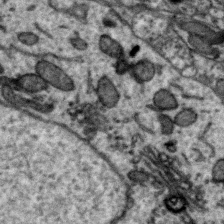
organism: Zebra finch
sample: Brain